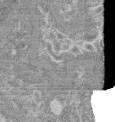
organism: Mouse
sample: Glomerulus